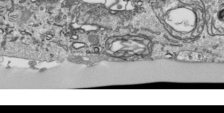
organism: Human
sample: Mitochondria in HCT116 cells